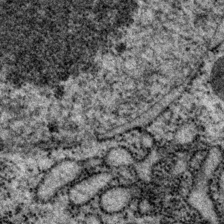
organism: P. pacificus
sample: Pharynx